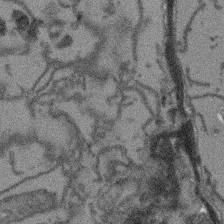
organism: Arabidopsis thaliana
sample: Root tip